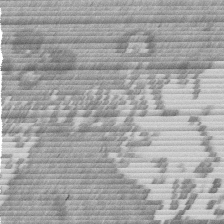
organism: Mouse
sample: Dividing mouse embryo 1 cell stage